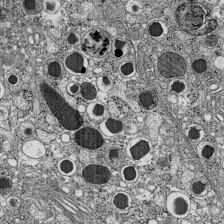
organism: C57BL Mouse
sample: Pancreatic islet